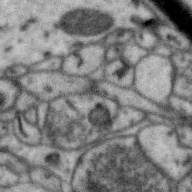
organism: Zebra finch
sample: Brain